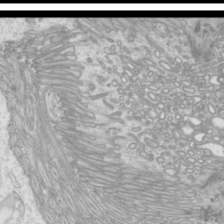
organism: Mouse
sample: Cilia; mouse epididymis